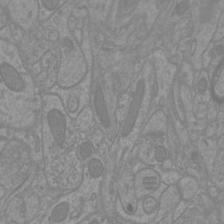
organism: Mouse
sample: Cortical neurons